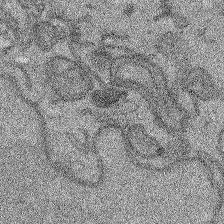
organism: Human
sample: HeLa cells